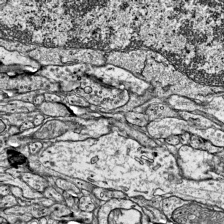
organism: Mouse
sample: Visual Cortex